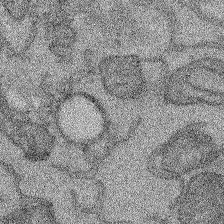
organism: Human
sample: HeLa cells